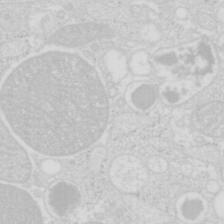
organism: Mouse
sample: Pancreas